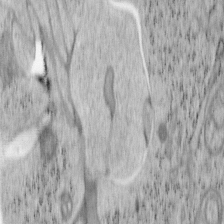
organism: Human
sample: HeLa cells